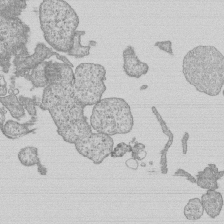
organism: Human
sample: MDA-MB-231 cells